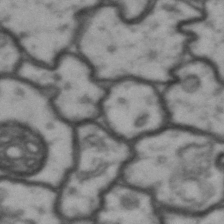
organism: Drosophila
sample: Brain